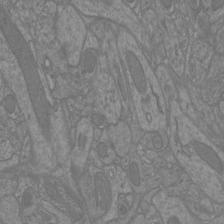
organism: Mouse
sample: Cortical neurons